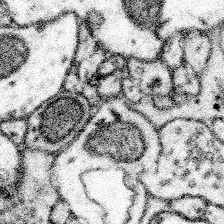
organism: Mouse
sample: Somatosensory cortex neuropil